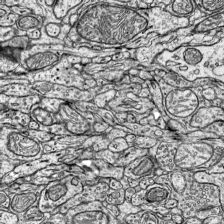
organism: Mouse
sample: Visual Cortex